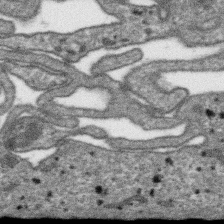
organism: Human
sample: Lung epithelial cells infected with SARS-CoV-2